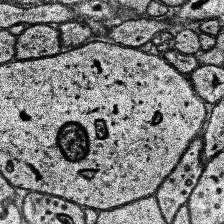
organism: Human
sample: Temporal Lobe